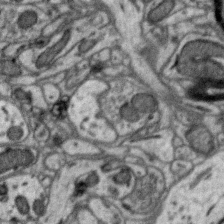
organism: Zebra finch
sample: Brain